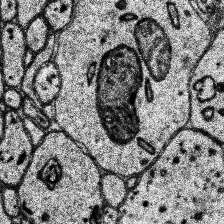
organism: Human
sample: Temporal Lobe